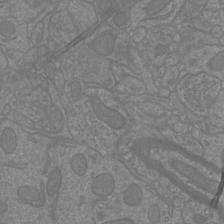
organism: Mouse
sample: Cortical neurons